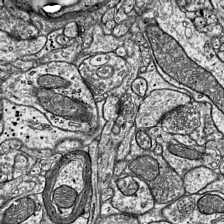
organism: Mouse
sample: Visual Cortex